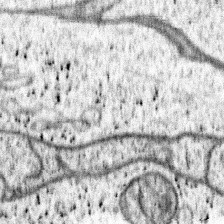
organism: Human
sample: HeLa cells